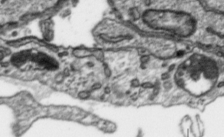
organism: Toxoplasma gondii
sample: Parasites in a vacuole inside a host cell